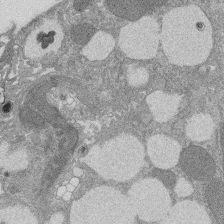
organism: Rat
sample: Salivary granule